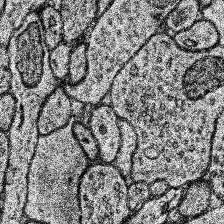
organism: Human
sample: Temporal Lobe